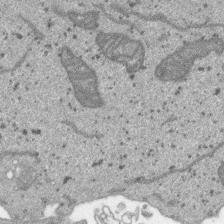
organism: Human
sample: Lung epithelial cells infected with SARS-CoV-2